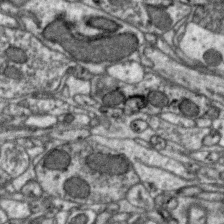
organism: Zebra finch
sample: Brain